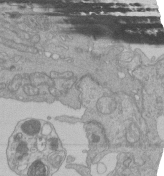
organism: Human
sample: Retinal organoid Rod and Cone cells